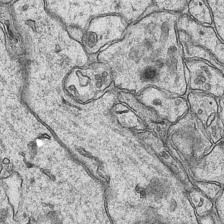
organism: Mouse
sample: CA1 Hippocampus